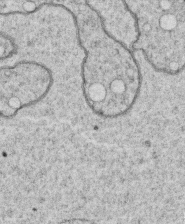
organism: C. elegans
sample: C. elegans oocyte; sperm cells